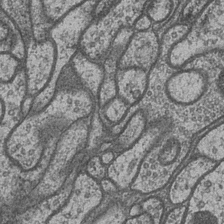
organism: Drosophila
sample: Optic medulla